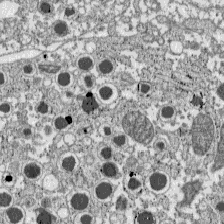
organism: C57BL Mouse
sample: Pancreatic islet